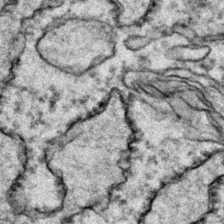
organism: Zebrafish